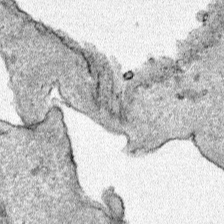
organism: Human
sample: Mitochondria in HCT116 cells